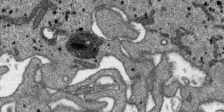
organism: Human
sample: Lung epithelial cells, uninfected (mock) control